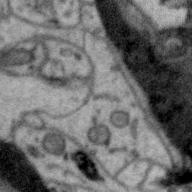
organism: Zebra finch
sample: Brain